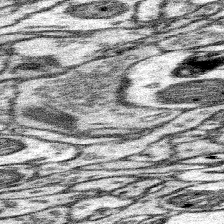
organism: Mouse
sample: Somatosensory cortex neuropil